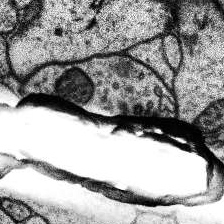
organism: Human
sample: Temporal Lobe